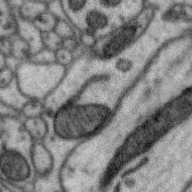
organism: Zebra finch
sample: Brain